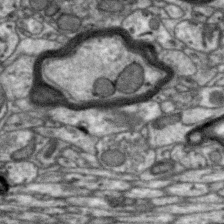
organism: Zebra finch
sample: Brain